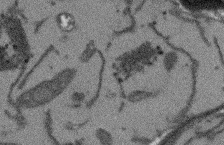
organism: Arabidopsis thaliana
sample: Root tip